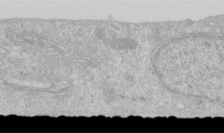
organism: Human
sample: Centriole in RPE cells